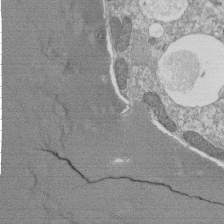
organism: Tetrahymena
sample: Cilia in tetrahymena